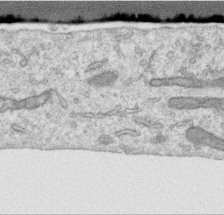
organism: Human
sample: Centriole in RPE cells